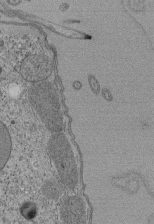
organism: Tetrahymena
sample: Cilia in tetrahymena